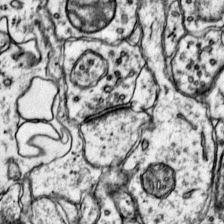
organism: Mouse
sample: Primary visual cortex